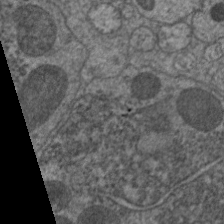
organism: C. elegans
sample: Pharynx